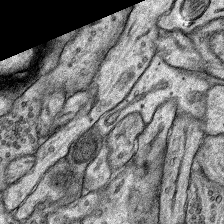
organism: Rat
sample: Hippocampus